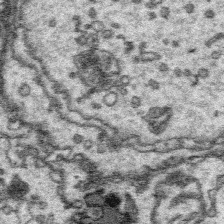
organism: Platynereis dumerilii